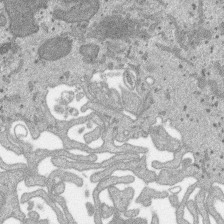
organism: Human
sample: Lung epithelial cells infected with SARS-CoV-2